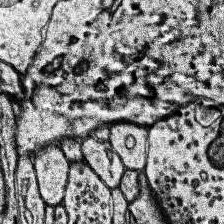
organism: Human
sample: Temporal Lobe